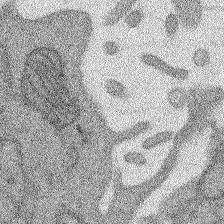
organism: Human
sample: HeLa cells